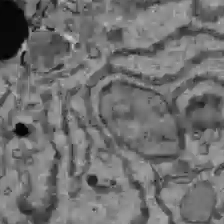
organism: C57BL Mouse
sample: Liver